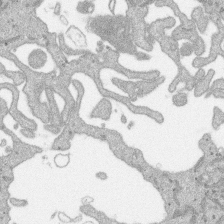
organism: Human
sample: Lung epithelial cells infected with SARS-CoV-2